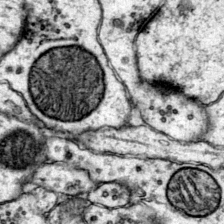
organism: Mouse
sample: Primary visual cortex